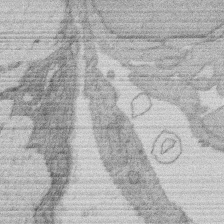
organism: Rat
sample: Salivary granule